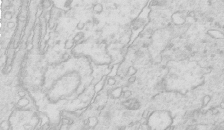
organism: Mouse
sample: Multiciliated cells